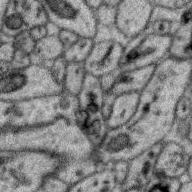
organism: Zebra finch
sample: Brain